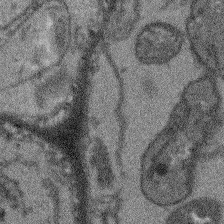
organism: Arabidopsis thaliana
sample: Root tip